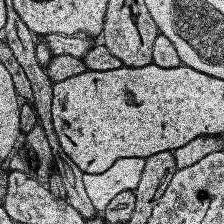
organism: Human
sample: Temporal Lobe